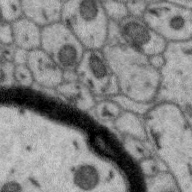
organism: Zebra finch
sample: Brain